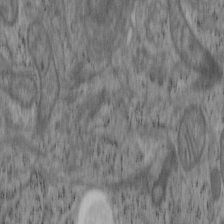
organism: Human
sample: HeLa cells